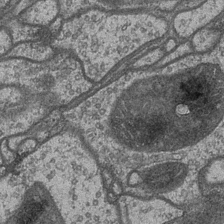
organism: Drosophila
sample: Optic medulla